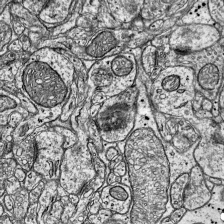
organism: Mouse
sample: Visual Cortex